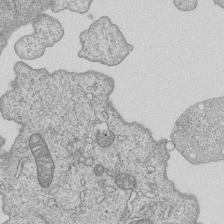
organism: Human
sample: MDA-MB-231 cells